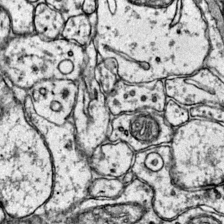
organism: Mouse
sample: Primary visual cortex